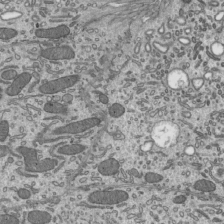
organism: Mouse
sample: Mouse epididymis efferent ductule cilia